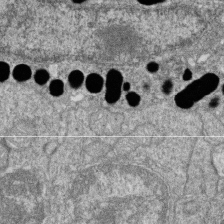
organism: Zebrafish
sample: Cilia; retinal pigment epithelium